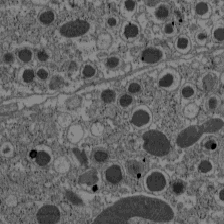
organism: C57BL Mouse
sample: Pancreatic islet